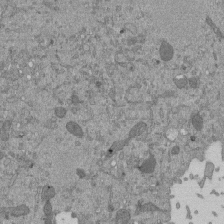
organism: Mouse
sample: ED-1 cell nuclei; centrioles